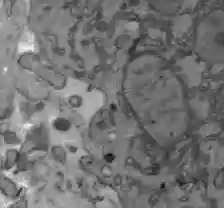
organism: C57BL Mouse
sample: Liver